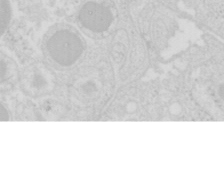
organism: Mouse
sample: Pancreas